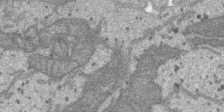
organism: Human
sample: Lung epithelial cells infected with SARS-CoV-2